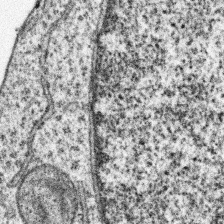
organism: Human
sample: HeLa cells